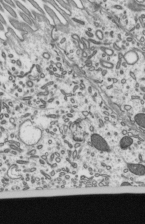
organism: Mouse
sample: Mouse epididymis efferent ductule cilia